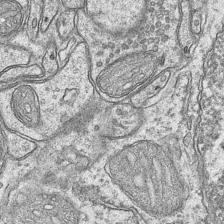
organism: Mouse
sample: CA1 Hippocampus